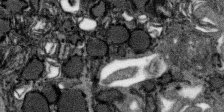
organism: Human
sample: Lung epithelial cells, uninfected (mock) control